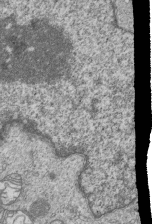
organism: Human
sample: MDA-MB-231 cells